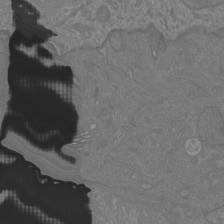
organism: Mouse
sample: Cortical neurons